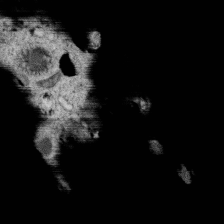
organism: C. elegans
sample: C. elegans oocyte; sperm cells